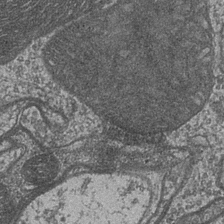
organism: Drosophila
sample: Optic medulla